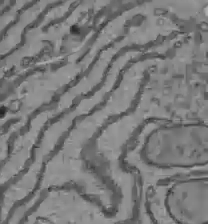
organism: C57BL Mouse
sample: Liver